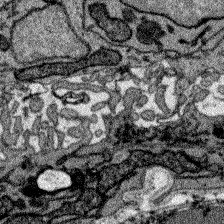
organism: Zebrafish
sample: Larval olfactory bulb